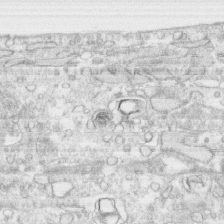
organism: Human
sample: CRL-1474